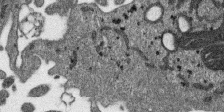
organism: Human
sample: Lung epithelial cells infected with SARS-CoV-2